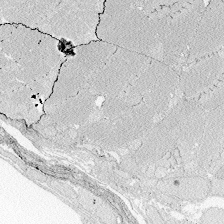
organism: Zebrafish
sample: Whole-Brain